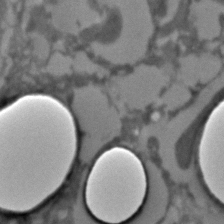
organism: C. elegans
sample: C. elegans embryo